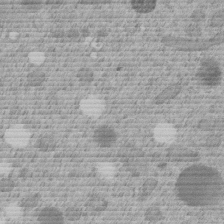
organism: C. elegans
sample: C. elegans embryo early stage